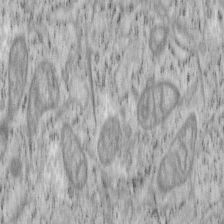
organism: Human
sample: HeLa cells